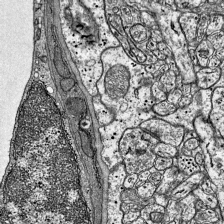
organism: Mouse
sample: Visual Cortex